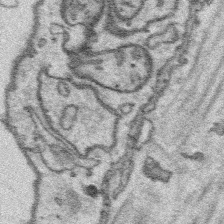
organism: Platynereis dumerilii